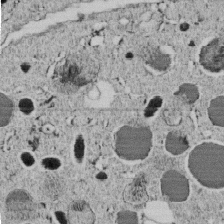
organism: C. elegans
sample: C. elegans embryo early stage